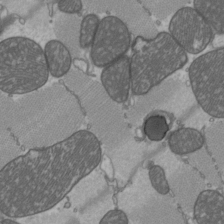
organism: C57BL Mouse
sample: Heart